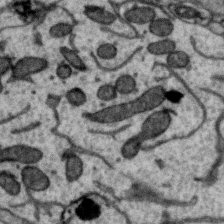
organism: Zebra finch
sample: Brain